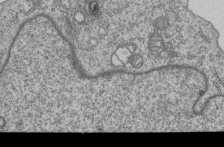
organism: Human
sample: MDA-MB-231 cells